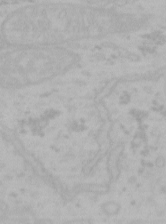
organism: Mouse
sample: Choroid plexus